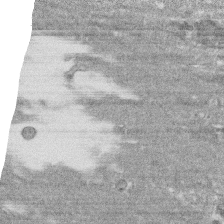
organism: Human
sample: CRL-1474